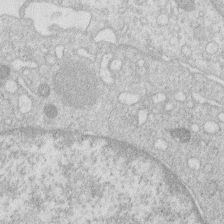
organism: Human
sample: Macrophage cells